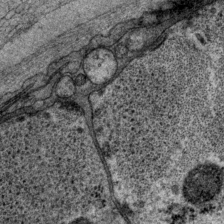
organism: P. pacificus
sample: Pharynx